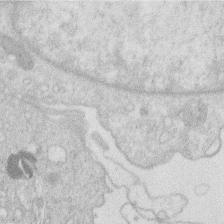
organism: Human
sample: Macrophage cells